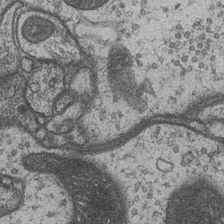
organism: Drosophila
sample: Optic medulla